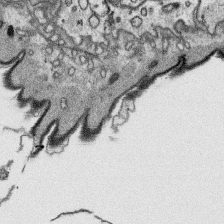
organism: Platynereis dumerilii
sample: Parapodia